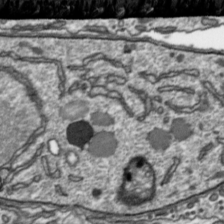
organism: Toxoplasma gondii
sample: Parasites in a vacuole inside a host cell